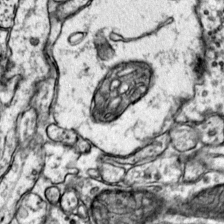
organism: Mouse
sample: Primary visual cortex